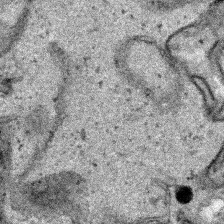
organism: Human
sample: Mitochondria in HCT116 cells